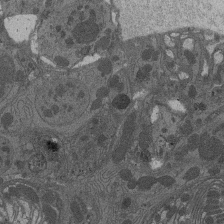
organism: Drosophila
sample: Antenna